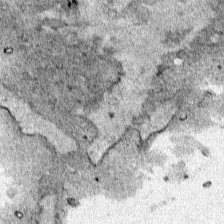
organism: Human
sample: Mitochondria in HCT116 cells